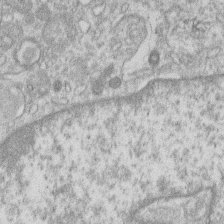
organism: Human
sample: Macrophage cells